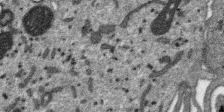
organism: Human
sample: Lung epithelial cells infected with SARS-CoV-2